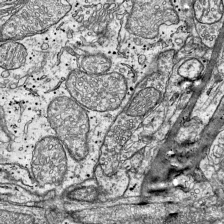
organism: Mouse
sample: Visual Cortex